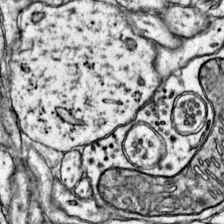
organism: Mouse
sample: Primary visual cortex